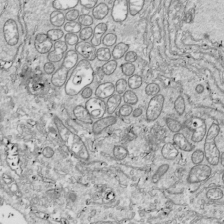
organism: Drosophila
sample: Cell division; meiosis; drosophila spermatocytes